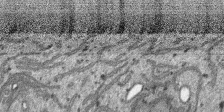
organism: Human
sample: Lung epithelial cells infected with SARS-CoV-2